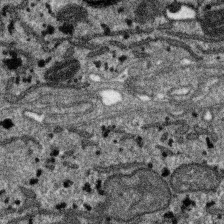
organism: Human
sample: Lung epithelial cells infected with SARS-CoV-2